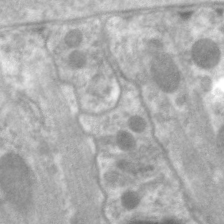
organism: C. elegans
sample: Pharynx